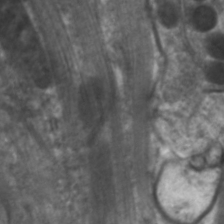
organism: C. elegans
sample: Pharynx